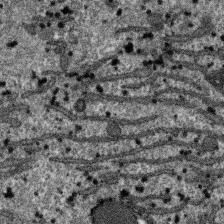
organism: Human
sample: Lung epithelial cells infected with SARS-CoV-2